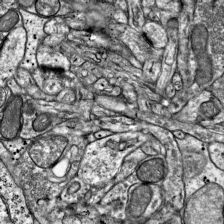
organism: Mouse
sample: Visual Cortex